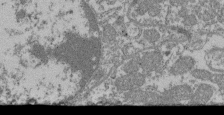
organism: Mouse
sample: Glomerulus